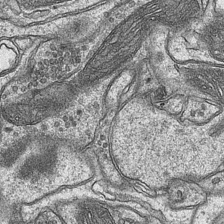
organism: Mouse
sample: CA1 Hippocampus